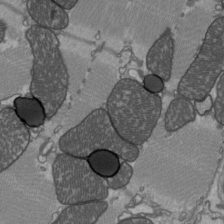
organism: C57BL Mouse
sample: Heart